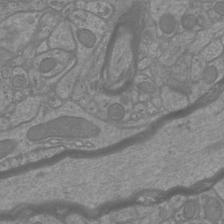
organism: Mouse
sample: Cortical neurons